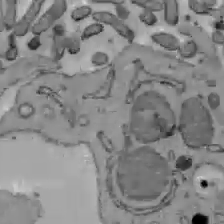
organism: C57BL Mouse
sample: Liver